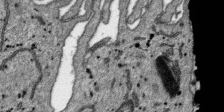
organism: Human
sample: Lung epithelial cells, uninfected (mock) control